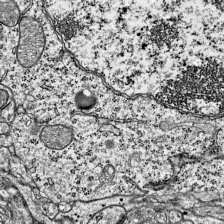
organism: Mouse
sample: Visual Cortex